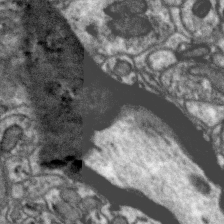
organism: Zebra finch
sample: Brain